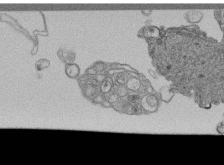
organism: Human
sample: Retinal organoid Rod and Cone cells